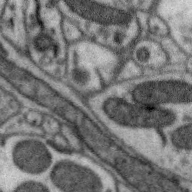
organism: Zebra finch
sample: Brain